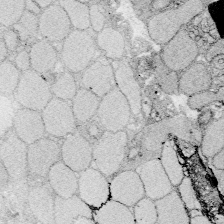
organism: Zebrafish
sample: Whole-Brain